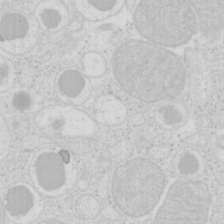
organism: Mouse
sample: Pancreas